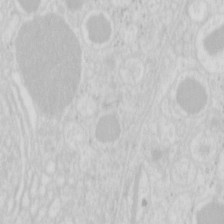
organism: Mouse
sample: Pancreas